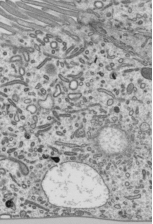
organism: Mouse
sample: Mouse epididymis efferent ductule cilia